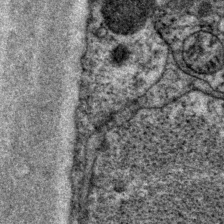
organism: P. pacificus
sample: Pharynx